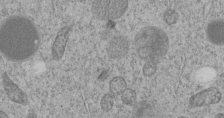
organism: C. elegans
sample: C. elegans embryo early stage